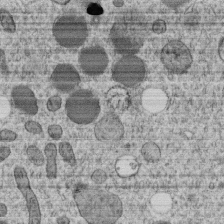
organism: C. elegans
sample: C. elegans embryo early stage